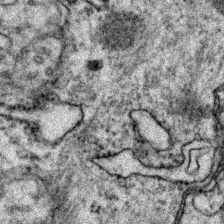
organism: Zebrafish